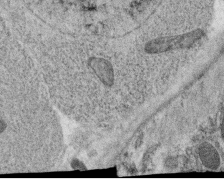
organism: C. elegans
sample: C. elegans oocyte; sperm cells